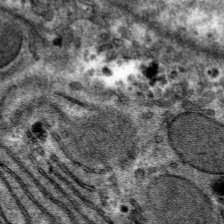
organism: Mouse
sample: Mouse hepatocytes